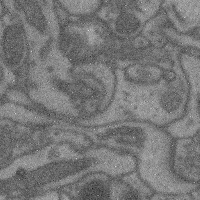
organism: Mouse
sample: Cerebral cortex